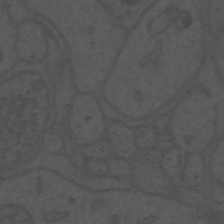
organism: Mouse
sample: Suprachiasmatic nucleus